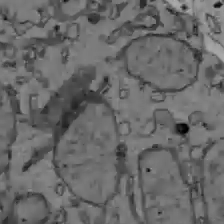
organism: C57BL Mouse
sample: Liver